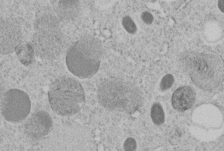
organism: C. elegans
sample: C. elegans embryo early stage